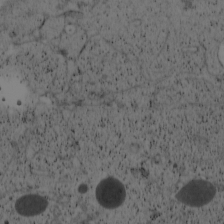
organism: African green monkey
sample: COS-7 cells